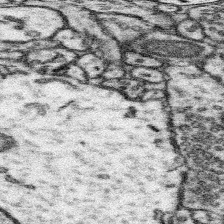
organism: Mouse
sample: Somatosensory cortex neuropil